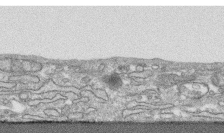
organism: Human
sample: CRL-1474